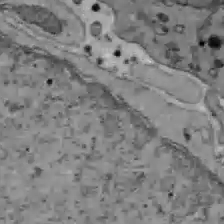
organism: C57BL Mouse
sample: Liver